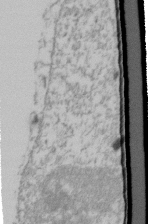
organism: Human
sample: U2-OS cells